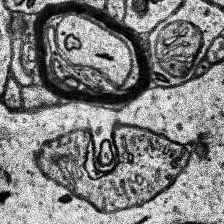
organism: Human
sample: Temporal Lobe